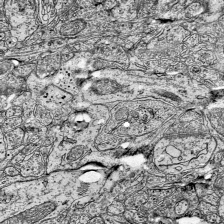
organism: Mouse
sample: Visual Cortex